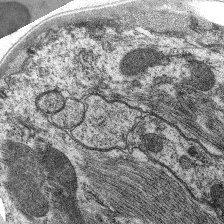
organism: C. elegans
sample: Pharynx